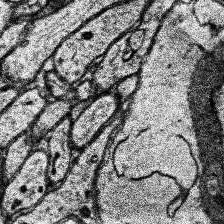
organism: Human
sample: Temporal Lobe